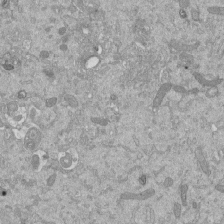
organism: Mouse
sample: ED-1 cell nuclei; centrioles